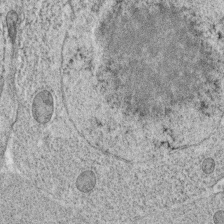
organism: C. elegans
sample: C. elegans oocyte; sperm cells